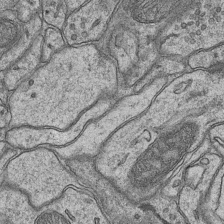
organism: Mouse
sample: CA1 Hippocampus